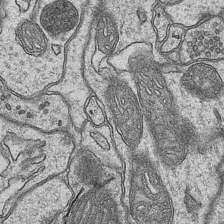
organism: Mouse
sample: CA1 Hippocampus